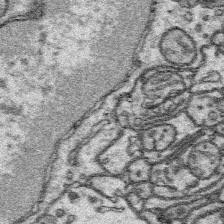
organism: Platynereis dumerilii